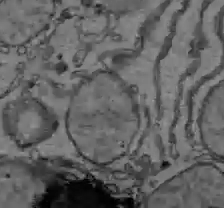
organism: C57BL Mouse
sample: Liver